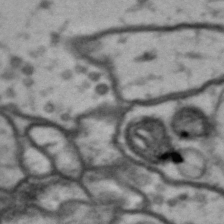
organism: Drosophila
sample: Brain